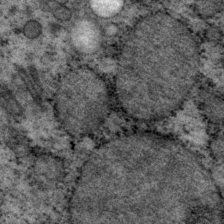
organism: P. pacificus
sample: Pharynx